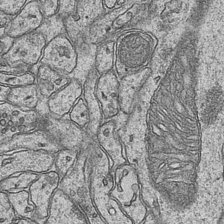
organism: Mouse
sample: CA1 Hippocampus